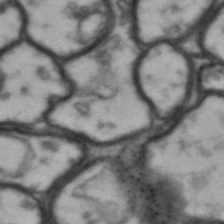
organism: Drosophila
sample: Brain